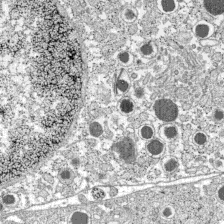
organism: C57BL Mouse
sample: Pancreatic islet